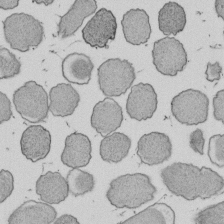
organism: E. coli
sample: Bacterial nucleoid